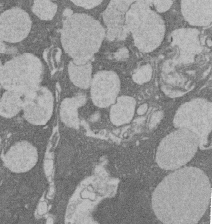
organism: Rat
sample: Salivary granule